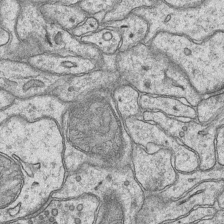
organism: Mouse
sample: CA1 Hippocampus